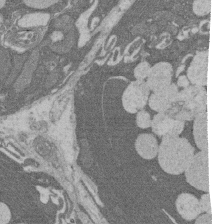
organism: Rat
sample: Salivary granule